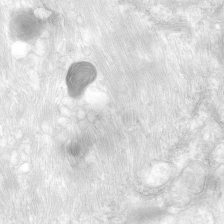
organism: Human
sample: Neocortex